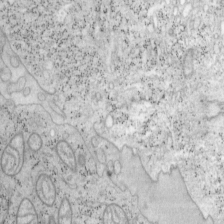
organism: Mouse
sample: OT-I killer T cells with ID8 ovarian cancer cells